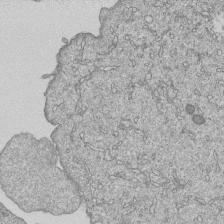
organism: Human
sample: MDA-MB-231 cells